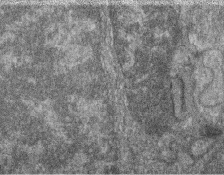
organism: Zebrafish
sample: Cilia; retinal pigment epithelium